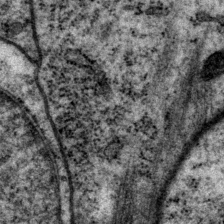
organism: P. pacificus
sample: Pharynx